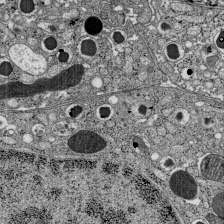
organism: C57BL Mouse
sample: Pancreatic islet